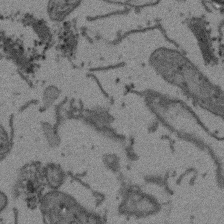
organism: Arabidopsis thaliana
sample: Root tip